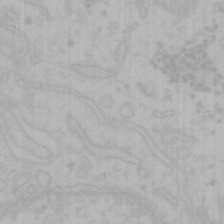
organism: Mouse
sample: Choroid plexus